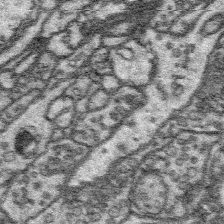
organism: Platynereis dumerilii